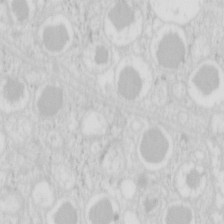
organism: Mouse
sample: Pancreas